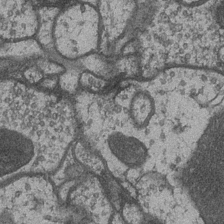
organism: Drosophila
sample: Optic medulla